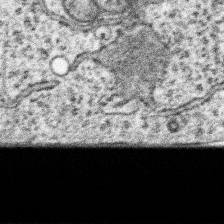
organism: Human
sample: HeLa cells